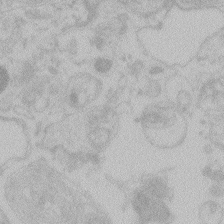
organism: Zebrafish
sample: Macrophage infected with Toxoplasma gondii